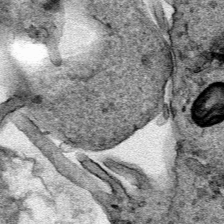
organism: Human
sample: Mitochondria in HCT116 cells